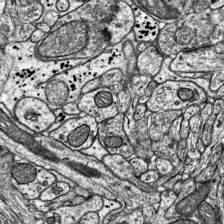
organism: Mouse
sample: Visual Cortex